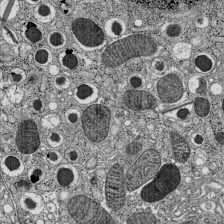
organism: C57BL Mouse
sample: Pancreatic islet